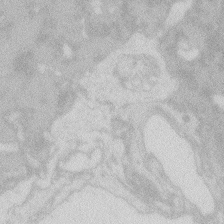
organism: Zebrafish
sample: Macrophage